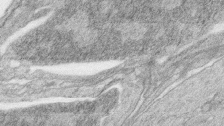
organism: Zebrafish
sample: synaptic ribbons in rod cells and cone cells